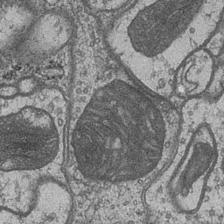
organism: Drosophila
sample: Optic medulla